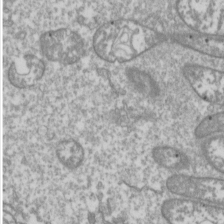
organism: Drosophila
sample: Cell division; meiosis; drosophila spermatocytes